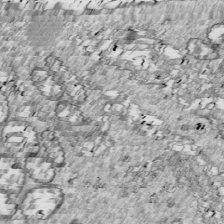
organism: Drosophila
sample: Cell division; meiosis; drosophila spermatocytes